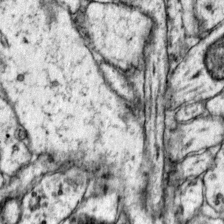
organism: Mouse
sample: Primary visual cortex